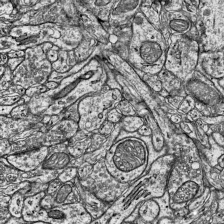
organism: Mouse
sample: Visual Cortex